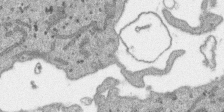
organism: Human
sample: Lung epithelial cells infected with SARS-CoV-2